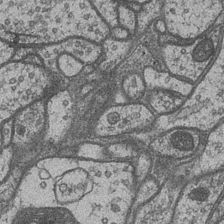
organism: Drosophila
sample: Optic medulla